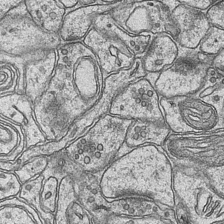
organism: Mouse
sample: CA1 Hippocampus